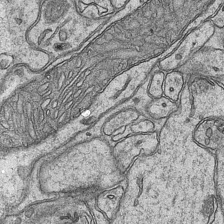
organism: Mouse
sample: CA1 Hippocampus